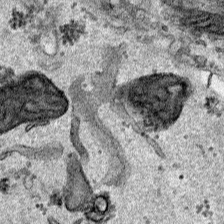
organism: Human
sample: Mitochondria in HCT116 cells